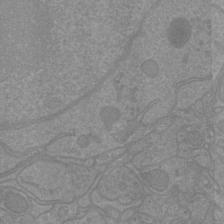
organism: Mouse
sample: Cortical neurons